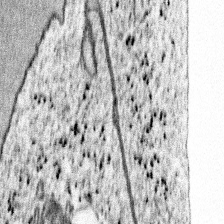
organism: Human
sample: HeLa cells